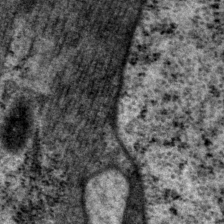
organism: P. pacificus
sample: Pharynx